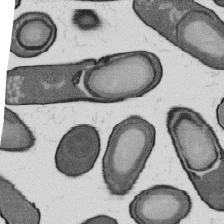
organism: B. subtilis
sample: Bacterial spore